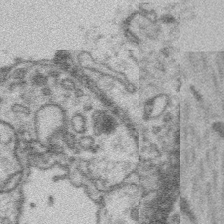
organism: Platynereis dumerilii